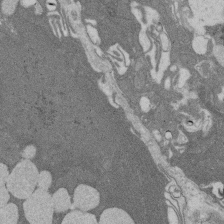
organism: Rat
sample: Salivary granule